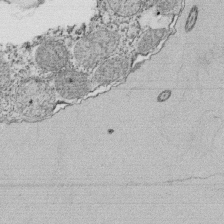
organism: Tetrahymena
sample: Cilia in tetrahymena